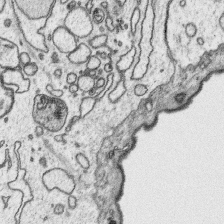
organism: Platynereis dumerilii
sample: Parapodia